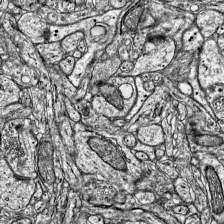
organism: Mouse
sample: Visual Cortex